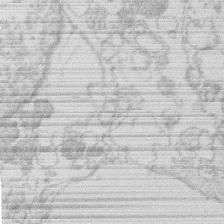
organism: Human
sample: Macrophage cells